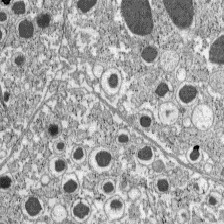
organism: C57BL Mouse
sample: Pancreatic islet